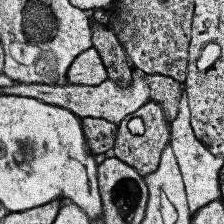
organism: Human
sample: Temporal Lobe